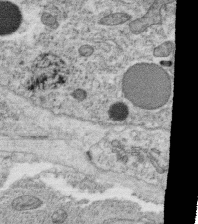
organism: C. elegans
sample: C. elegans oocyte; sperm cells